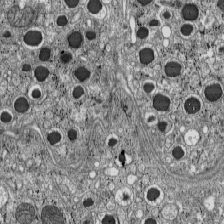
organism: C57BL Mouse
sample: Pancreatic islet